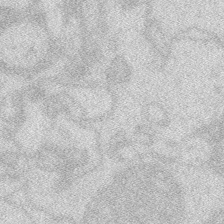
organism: Zebrafish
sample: Macrophage